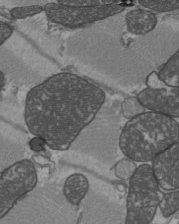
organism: C57BL Mouse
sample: Heart